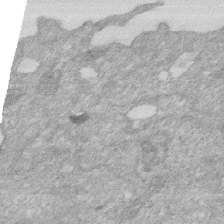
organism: Human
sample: HIV infected U937 cells